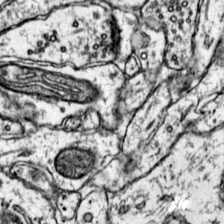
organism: Mouse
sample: Primary visual cortex